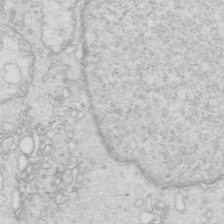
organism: Mouse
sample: Multiciliated cells